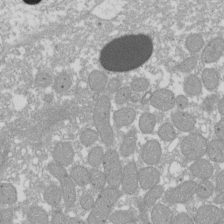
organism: Xenopus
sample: Cilia; centrioles in frog embryo cells